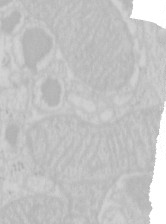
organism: Mouse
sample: Pancreas